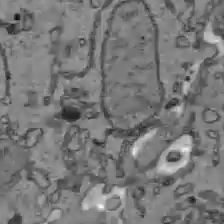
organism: C57BL Mouse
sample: Liver